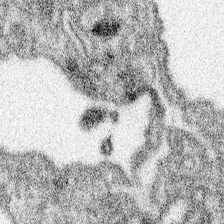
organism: Spongilla lacustris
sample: Neuroid cell